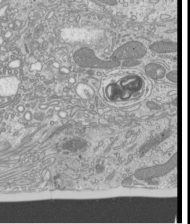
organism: Mouse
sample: Cilia; mouse epididymis